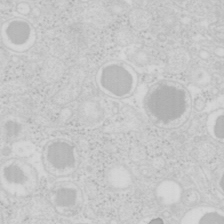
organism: Mouse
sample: Pancreas